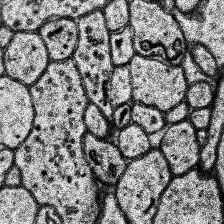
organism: Human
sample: Temporal Lobe